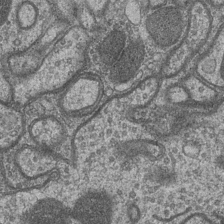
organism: Drosophila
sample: Optic medulla